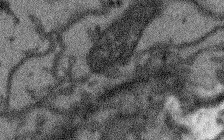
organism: Arabidopsis thaliana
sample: Root tip